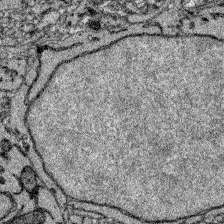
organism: Zebrafish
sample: Larval olfactory bulb